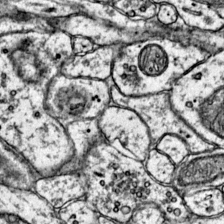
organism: Mouse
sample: Primary visual cortex